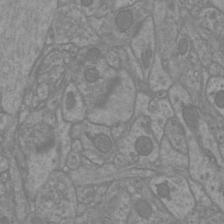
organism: Mouse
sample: Cortical neurons